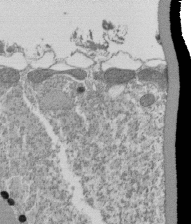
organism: Tetrahymena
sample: Cilia in tetrahymena